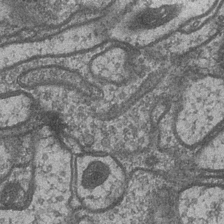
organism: Drosophila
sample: Optic medulla